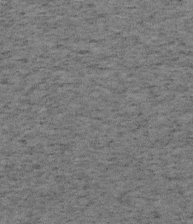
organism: Mouse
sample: OT-I killer T cells with ID8 ovarian cancer cells